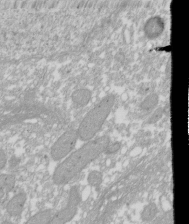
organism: Xenopus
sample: Cilia; centrioles in frog embryo cells